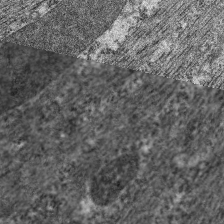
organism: C. elegans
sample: Pharynx